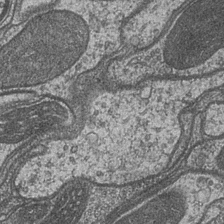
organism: Drosophila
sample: Optic medulla